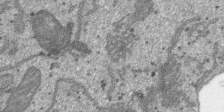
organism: Human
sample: Lung epithelial cells infected with SARS-CoV-2